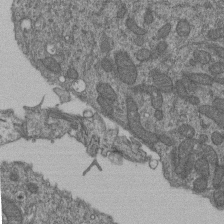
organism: Human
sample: Retinal organoid Rod and Cone cells